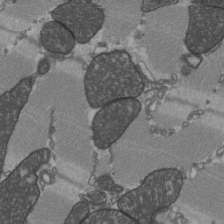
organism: C57BL Mouse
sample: Heart